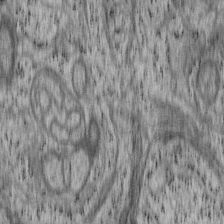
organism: Human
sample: HeLa cells